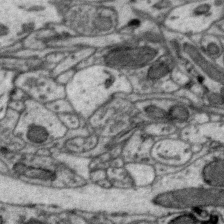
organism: Zebra finch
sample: Brain